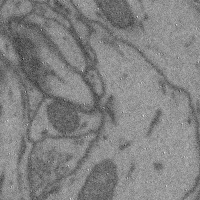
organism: Mouse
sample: Cerebral cortex